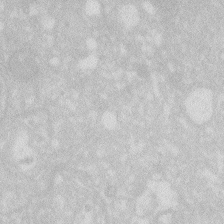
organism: Zebrafish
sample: Macrophage